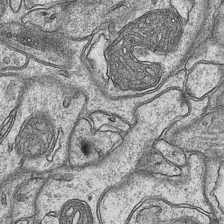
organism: Mouse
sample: CA1 Hippocampus